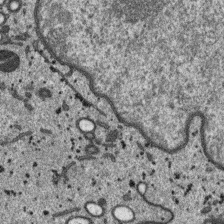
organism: Human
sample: Lung epithelial cells infected with SARS-CoV-2